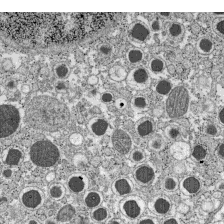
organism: C57BL Mouse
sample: Pancreatic islet